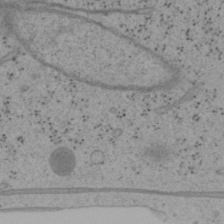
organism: Human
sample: HeLa cells